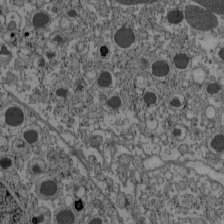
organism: C57BL Mouse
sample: Pancreatic islet